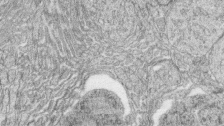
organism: Zebrafish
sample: synaptic ribbons in rod cells and cone cells